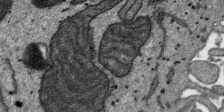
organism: Human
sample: Lung epithelial cells, uninfected (mock) control